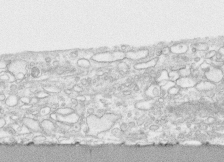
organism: Human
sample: CRL-1474